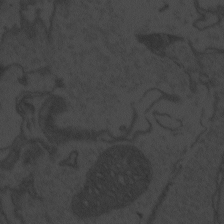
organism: Zebrafish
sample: Macrophage infected with Toxoplasma gondii